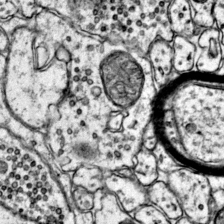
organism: Mouse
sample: Primary visual cortex